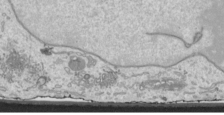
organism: Human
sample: Mitochondria in HCT116 cells